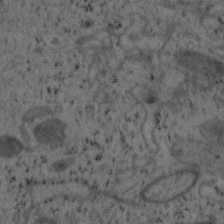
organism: Human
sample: HeLa cells